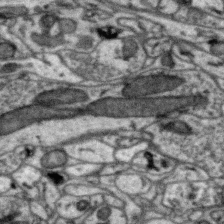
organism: Zebra finch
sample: Brain